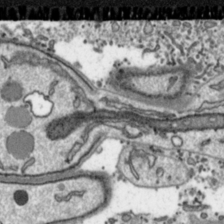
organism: Toxoplasma gondii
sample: Parasites in a vacuole inside a host cell